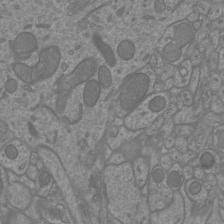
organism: Mouse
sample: Cortical neurons